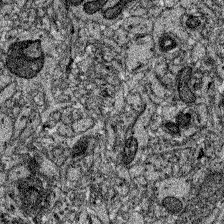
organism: Zebrafish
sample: Larval olfactory bulb